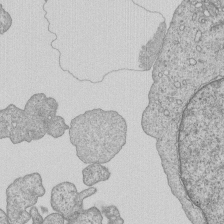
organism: Human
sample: MDA-MB-231 cells